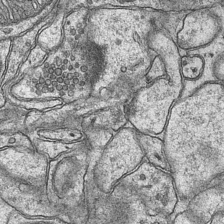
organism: Mouse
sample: CA1 Hippocampus